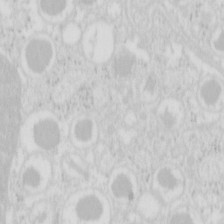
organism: Mouse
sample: Pancreas